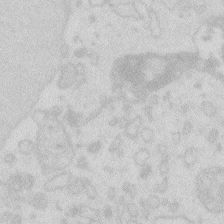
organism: Zebrafish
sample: Macrophage